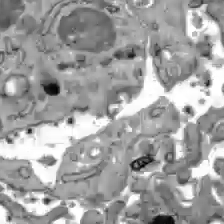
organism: C57BL Mouse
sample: Liver